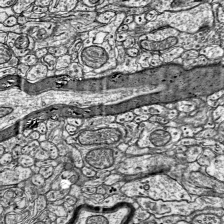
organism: Mouse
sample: Visual Cortex